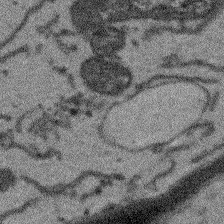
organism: Arabidopsis thaliana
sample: Root tip